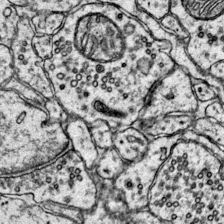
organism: Mouse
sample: Primary visual cortex